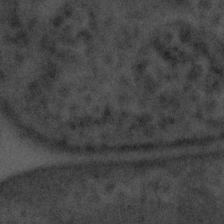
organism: Tuwongella immobilis